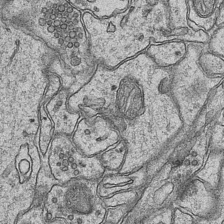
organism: Mouse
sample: CA1 Hippocampus